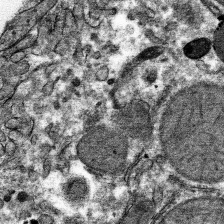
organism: Mouse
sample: Mouse hepatocytes